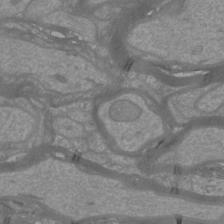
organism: Mouse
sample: Cortical neurons